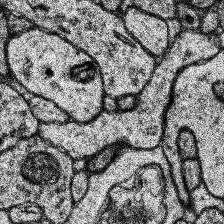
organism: Human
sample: Temporal Lobe